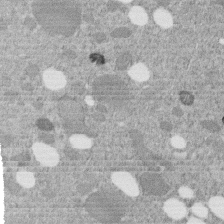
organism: C. elegans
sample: C. elegans embryo early stage